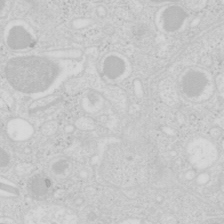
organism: Mouse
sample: Pancreas